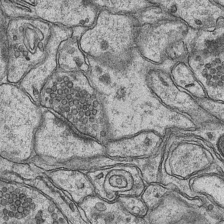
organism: Mouse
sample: CA1 Hippocampus